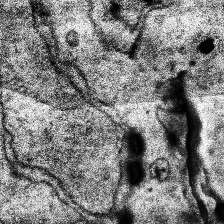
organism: Human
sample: Temporal Lobe